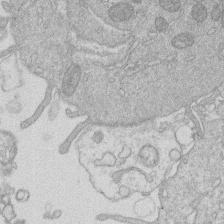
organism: Human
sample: Macrophage cells